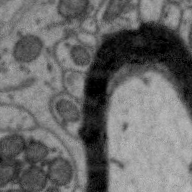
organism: Zebra finch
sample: Brain